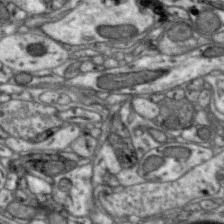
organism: Zebra finch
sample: Brain